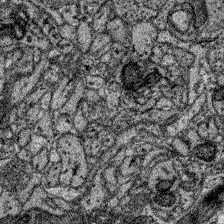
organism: Zebrafish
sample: Larval olfactory bulb